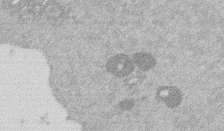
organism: Mouse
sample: Dividing mouse embryo 1 cell stage